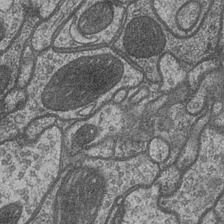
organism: Drosophila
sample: Optic medulla